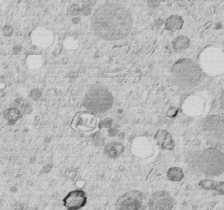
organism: C. elegans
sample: C. elegans embryo early stage